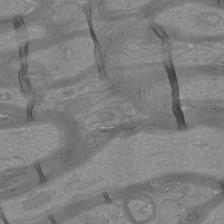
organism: Mouse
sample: Cortical neurons